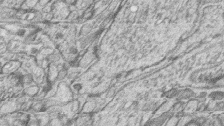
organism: Zebrafish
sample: synaptic ribbons in rod cells and cone cells